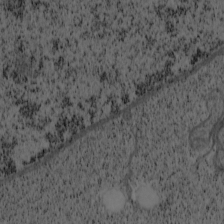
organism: African green monkey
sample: COS-7 cells